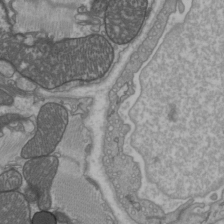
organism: C57BL Mouse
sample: Heart